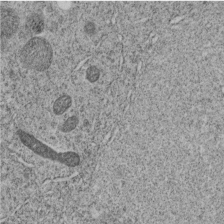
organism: C. elegans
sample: C. elegans embryo early stage